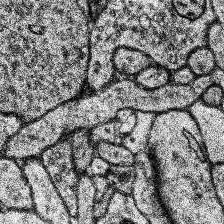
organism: Human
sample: Temporal Lobe